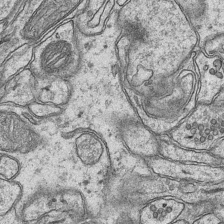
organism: Mouse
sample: CA1 Hippocampus